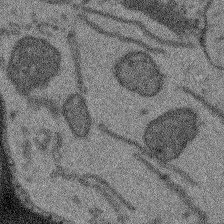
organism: Arabidopsis thaliana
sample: Root tip